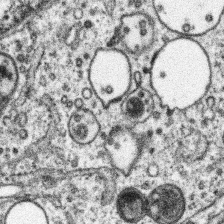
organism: Human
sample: HeLa cells